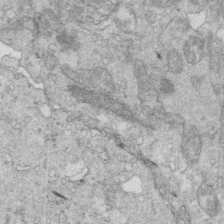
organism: Mouse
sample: Multiciliated cells